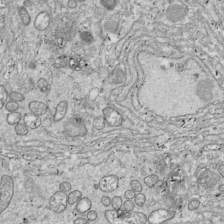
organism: Drosophila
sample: Cell division; meiosis; drosophila spermatocytes